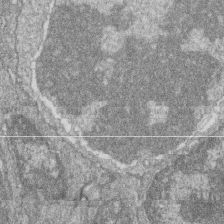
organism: Zebrafish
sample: Cilia; retinal pigment epithelium